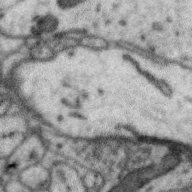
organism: Zebra finch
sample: Brain